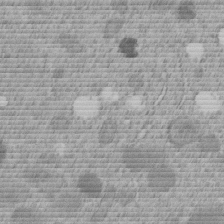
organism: C. elegans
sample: C. elegans embryo early stage